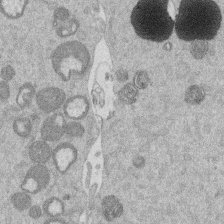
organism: Mouse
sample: Dividing mouse embryo 1 cell stage